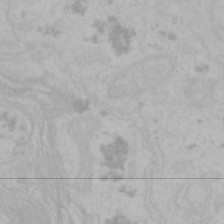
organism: Mouse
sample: Choroid plexus